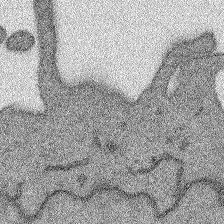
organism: Human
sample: HeLa cells